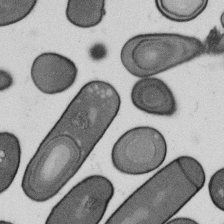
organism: B. subtilis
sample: Bacterial spore